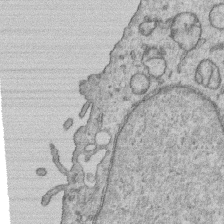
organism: Human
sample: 1205lu cells